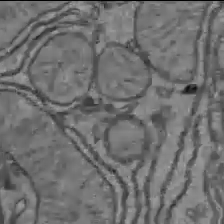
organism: C57BL Mouse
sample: Liver